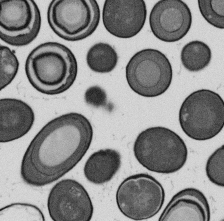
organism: B. subtilis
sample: Bacterial spore